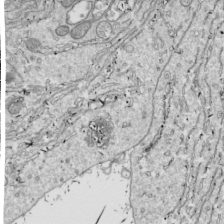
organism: Drosophila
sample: Cell division; meiosis; drosophila spermatocytes